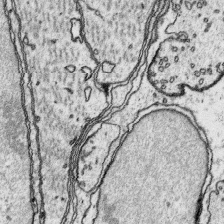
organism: Platynereis dumerilii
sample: Parapodia